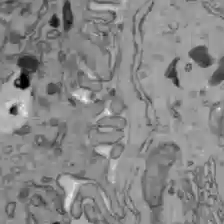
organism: C57BL Mouse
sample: Liver